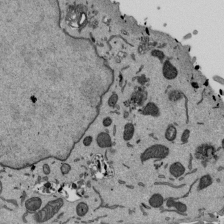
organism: Mouse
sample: ED-1 cell nuclei; centrioles